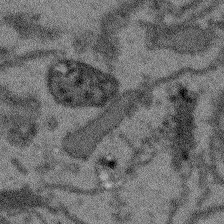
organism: Arabidopsis thaliana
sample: Root tip